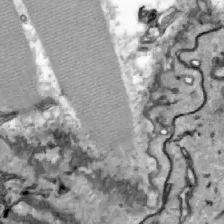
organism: Zebrafish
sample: Actinotrichia fibers